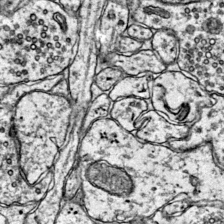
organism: Mouse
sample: Primary visual cortex